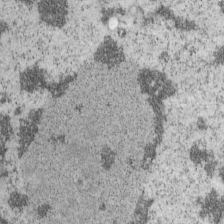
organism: Mouse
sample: OT-I killer T cells with ID8 ovarian cancer cells